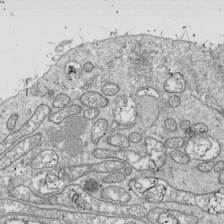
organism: Drosophila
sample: Cell division; meiosis; drosophila spermatocytes